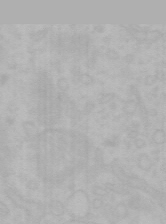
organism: Mouse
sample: Choroid plexus